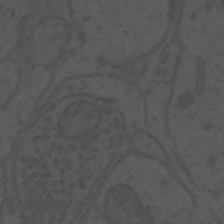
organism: Mouse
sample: Suprachiasmatic nucleus